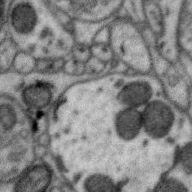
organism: Zebra finch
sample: Brain